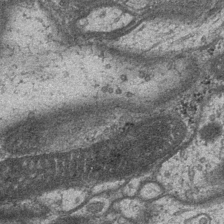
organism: Drosophila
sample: Optic medulla